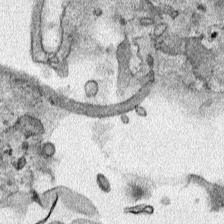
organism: Human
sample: Mitochondria in HCT116 cells